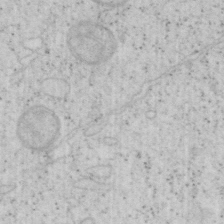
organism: Human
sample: HeLa cells